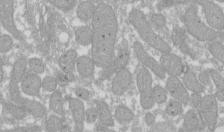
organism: Xenopus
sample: Cilia; centrioles in frog embryo cells